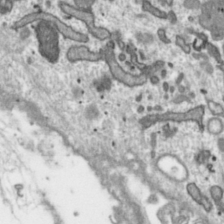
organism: Toxoplasma gondii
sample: Parasites in a vacuole inside a host cell